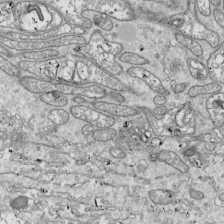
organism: Drosophila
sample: Cell division; meiosis; drosophila spermatocytes